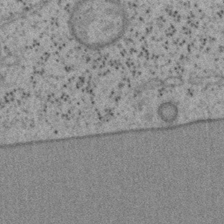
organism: Human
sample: HeLa cells